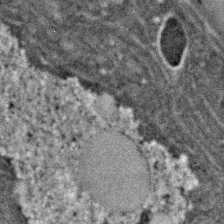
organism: C. elegans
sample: C. elegans embryo